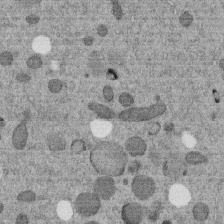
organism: C. elegans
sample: C. elegans embryo early stage